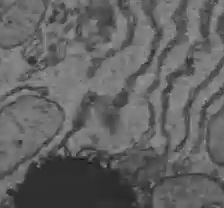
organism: C57BL Mouse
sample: Liver